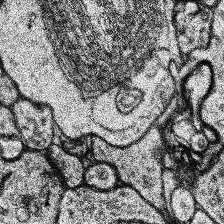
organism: Human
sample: Temporal Lobe